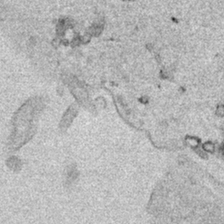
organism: Human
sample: Mitochondria in HCT116 cells